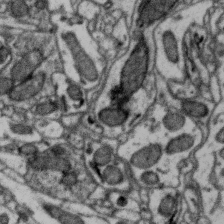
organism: Zebra finch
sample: Brain